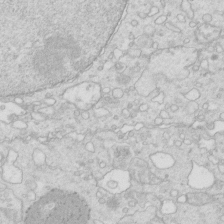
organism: Mouse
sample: Multiciliated cells